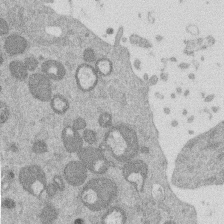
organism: Mouse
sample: Dividing mouse embryo 1 cell stage